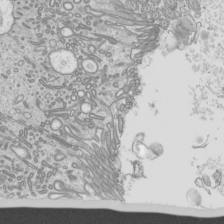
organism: Mouse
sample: Cilia; mouse epididymis